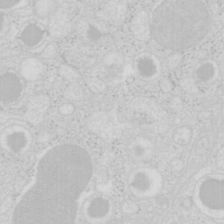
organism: Mouse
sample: Pancreas